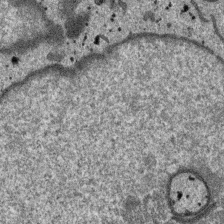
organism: Human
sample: Lung epithelial cells, uninfected (mock) control